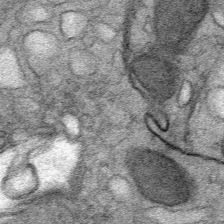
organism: Mouse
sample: Mouse Salivary gland